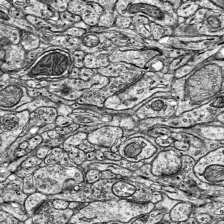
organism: Mouse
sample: Visual Cortex